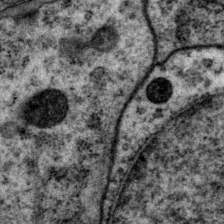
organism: P. pacificus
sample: Pharynx